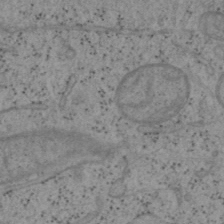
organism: Human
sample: HeLa cells